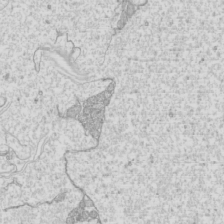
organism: Mouse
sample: Cilia; mouse epididymis